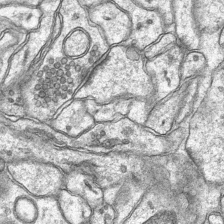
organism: Mouse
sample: CA1 Hippocampus